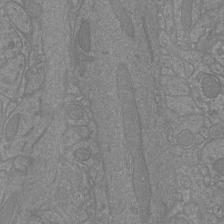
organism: Mouse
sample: Cortical neurons